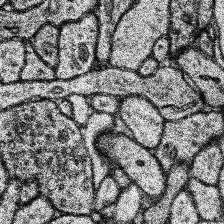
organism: Human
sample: Temporal Lobe